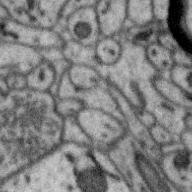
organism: Zebra finch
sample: Brain